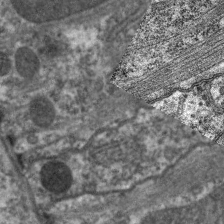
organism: C. elegans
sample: Pharynx